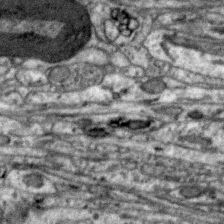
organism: Zebra finch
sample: Brain